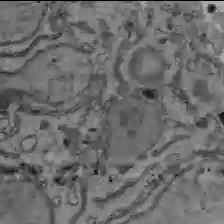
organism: C57BL Mouse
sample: Liver